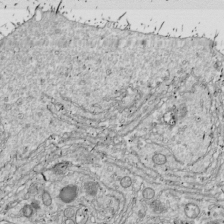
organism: Drosophila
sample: Cell division; meiosis; drosophila spermatocytes